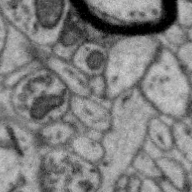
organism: Zebra finch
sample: Brain